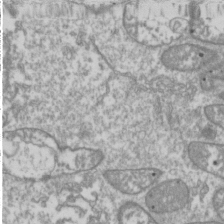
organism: Drosophila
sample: Cell division; meiosis; drosophila spermatocytes